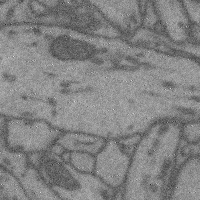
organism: Mouse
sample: Cerebral cortex